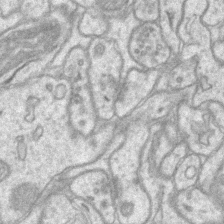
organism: Mouse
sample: CA1 Hippocampus